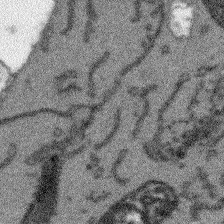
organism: Arabidopsis thaliana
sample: Root tip